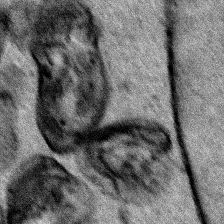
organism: Human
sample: Mitochondria in HCT116 cells